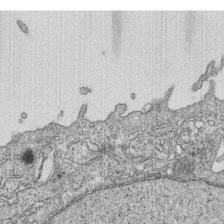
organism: Human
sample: HeLa cell HIV synapse